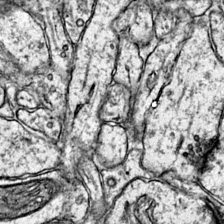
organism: Mouse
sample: Primary visual cortex